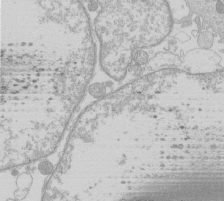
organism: Human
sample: Macrophage cells